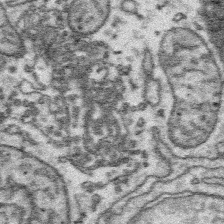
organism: Platynereis dumerilii